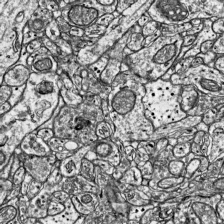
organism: Mouse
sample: Visual Cortex